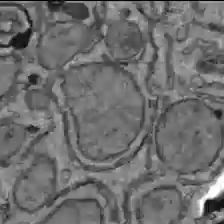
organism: C57BL Mouse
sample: Liver